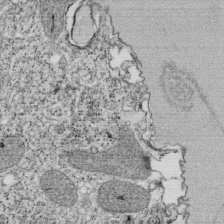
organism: Tetrahymena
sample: Cilia in tetrahymena